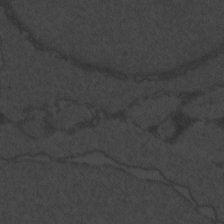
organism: Zebrafish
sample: Macrophage infected with Toxoplasma gondii